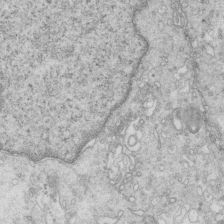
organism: Mouse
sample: Multiciliated cells